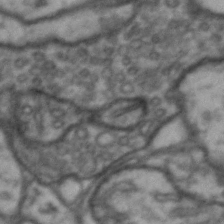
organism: Drosophila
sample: Brain